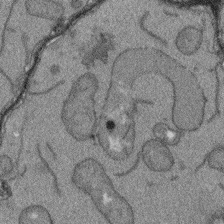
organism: Arabidopsis thaliana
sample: Root tip